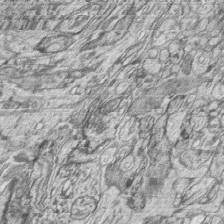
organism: Zebrafish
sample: synaptic ribbons in rod cells and cone cells